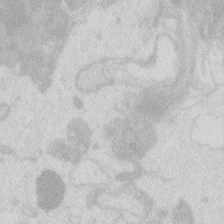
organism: Zebrafish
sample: Macrophage